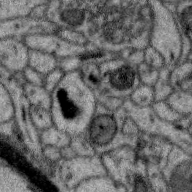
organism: Zebra finch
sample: Brain